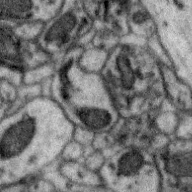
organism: Zebra finch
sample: Brain